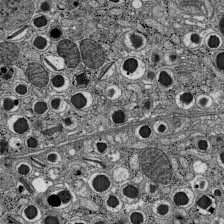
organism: C57BL Mouse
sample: Pancreatic islet